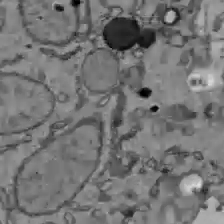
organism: C57BL Mouse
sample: Liver